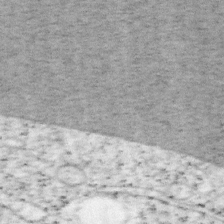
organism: Mouse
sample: OT-I killer T cells with ID8 ovarian cancer cells